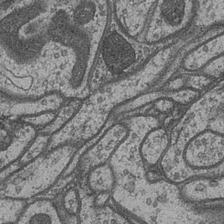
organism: Drosophila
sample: Optic medulla